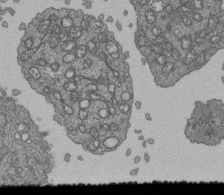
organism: Human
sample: Retinal organoid Rod and Cone cells